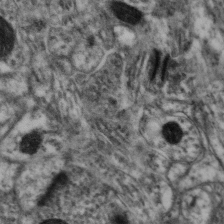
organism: Mouse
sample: Neocortex